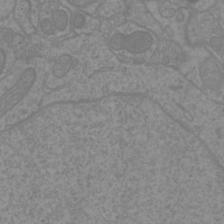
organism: Mouse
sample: Cortical neurons